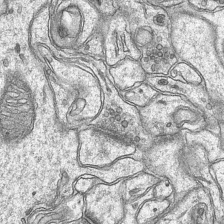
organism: Mouse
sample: CA1 Hippocampus